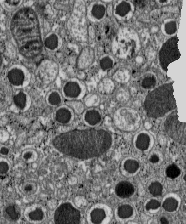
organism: C57BL Mouse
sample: Pancreatic islet